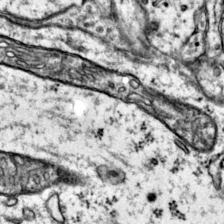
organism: Mouse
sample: Primary visual cortex